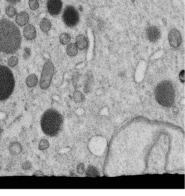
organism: C. elegans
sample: C. elegans oocyte; sperm cells